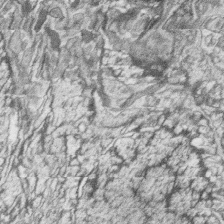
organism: Zebrafish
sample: synaptic ribbons in rod cells and cone cells